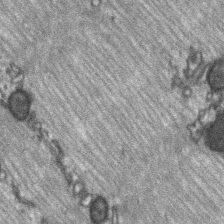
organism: C57BL Mouse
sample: Soleus